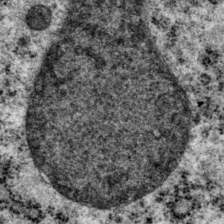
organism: P. pacificus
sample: Pharynx